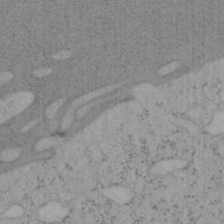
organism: Mouse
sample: OT-I killer T cells with ID8 ovarian cancer cells